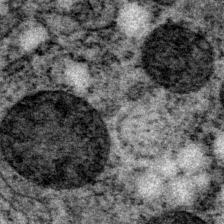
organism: P. pacificus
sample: Pharynx